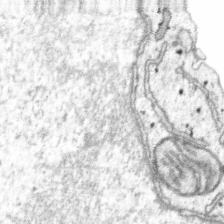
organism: Human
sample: HeLa cells